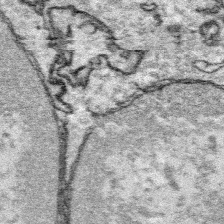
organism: Platynereis dumerilii